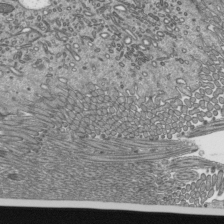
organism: Mouse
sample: Mouse epididymis efferent ductule cilia